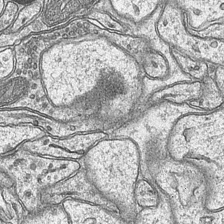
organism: Mouse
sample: CA1 Hippocampus